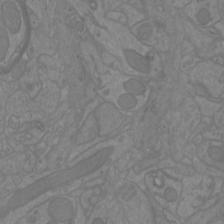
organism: Mouse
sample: Cortical neurons